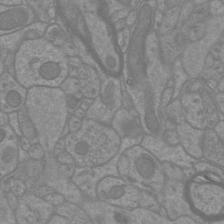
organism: Mouse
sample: Cortical neurons